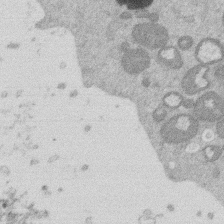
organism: Mouse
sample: Dividing mouse embryo 1 cell stage